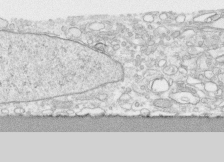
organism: Human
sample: CRL-1474